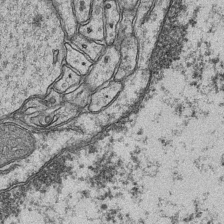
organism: Mouse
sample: CA1 Hippocampus